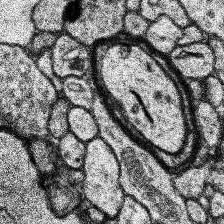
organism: Human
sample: Temporal Lobe